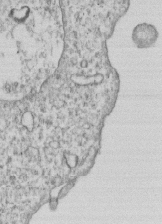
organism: Human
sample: MDA-MB-231 cells